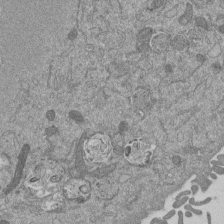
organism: Mouse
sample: ED-1 cell nuclei; centrioles